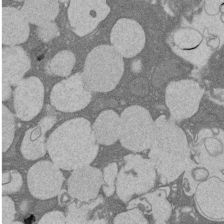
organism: Rat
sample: Salivary granule